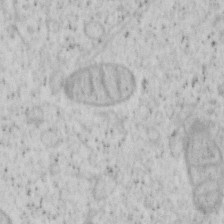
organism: Human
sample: HeLa cells